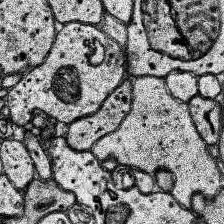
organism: Human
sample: Temporal Lobe